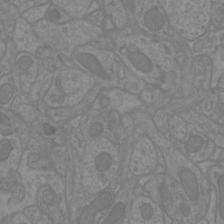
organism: Mouse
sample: Cortical neurons